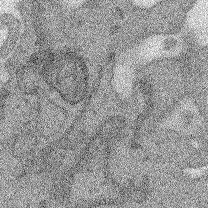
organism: Human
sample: HeLa cells